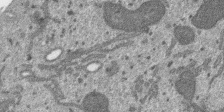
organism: Human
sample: Lung epithelial cells infected with SARS-CoV-2